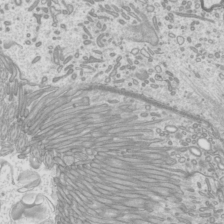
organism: Mouse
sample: Cilia; mouse epididymis